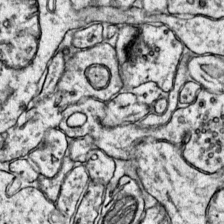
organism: Mouse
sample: Primary visual cortex